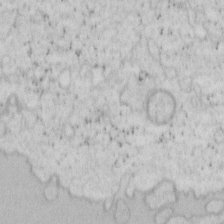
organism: Human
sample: HeLa cells